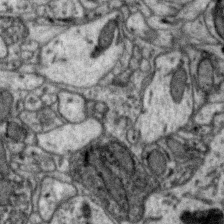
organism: Zebra finch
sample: Brain